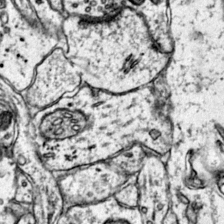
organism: Mouse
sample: Primary visual cortex